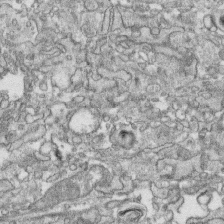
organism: Human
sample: CRL-1474